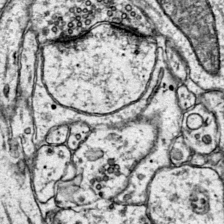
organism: Mouse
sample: Primary visual cortex